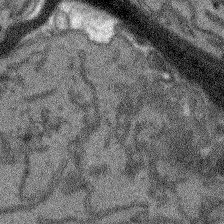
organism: Arabidopsis thaliana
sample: Root tip